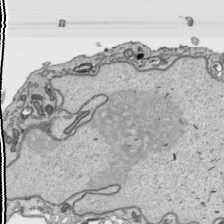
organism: Human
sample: Mitochondria in HCT116 cells